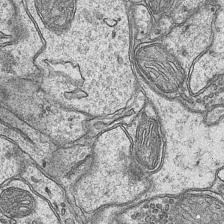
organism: Mouse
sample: CA1 Hippocampus